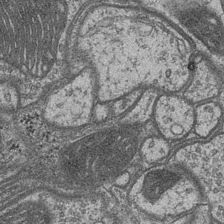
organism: Drosophila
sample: Optic medulla